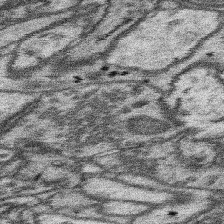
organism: Mouse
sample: Somatosensory cortex neuropil